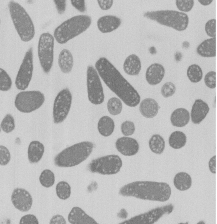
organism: E. coli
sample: Bacterial nucleoid